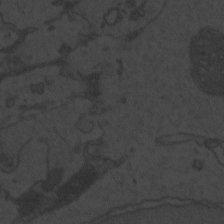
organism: Zebrafish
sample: Macrophage infected with Toxoplasma gondii